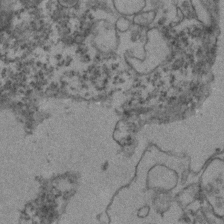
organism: Zebrafish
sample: Zebrafish embryo